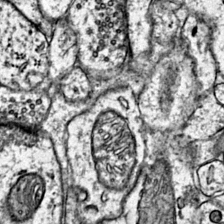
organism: Mouse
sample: Primary visual cortex